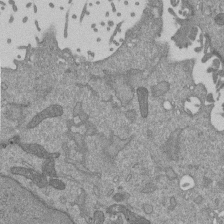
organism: Mouse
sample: ED-1 cell nuclei; centrioles